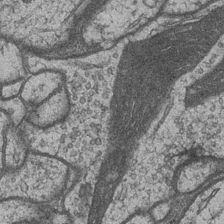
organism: Drosophila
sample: Optic medulla